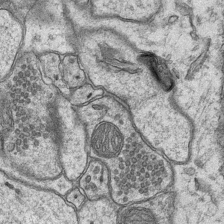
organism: Mouse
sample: CA1 Hippocampus